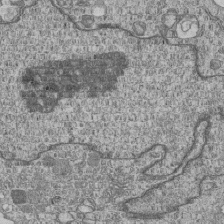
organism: Human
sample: MDA-MB-231 cells